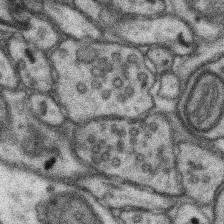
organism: Mouse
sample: Somatosensory cortex neuropil